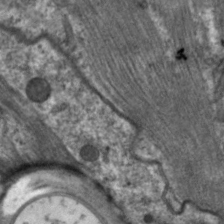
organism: C. elegans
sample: Pharynx